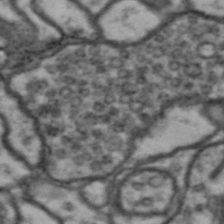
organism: Drosophila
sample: Brain